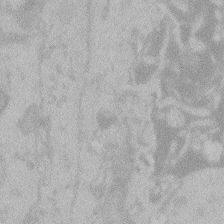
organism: Zebrafish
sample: Macrophage infected with Toxoplasma gondii